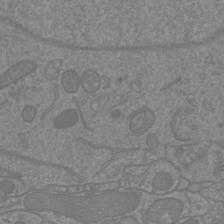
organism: Mouse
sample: Cortical neurons